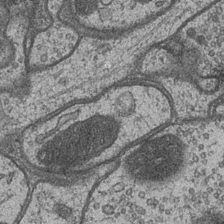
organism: Drosophila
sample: Optic medulla